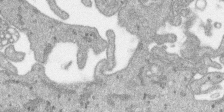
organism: Human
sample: Lung epithelial cells infected with SARS-CoV-2